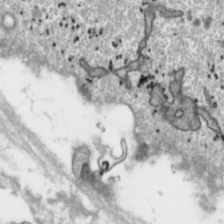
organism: Toxoplasma gondii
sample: Parasites in a vacuole inside a host cell